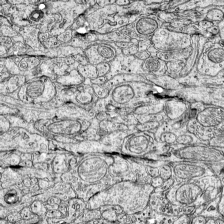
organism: Mouse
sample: Visual Cortex